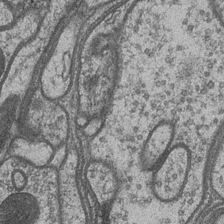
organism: Drosophila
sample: Optic medulla